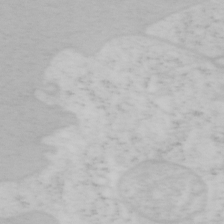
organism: Mouse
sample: OT-I killer T cells with ID8 ovarian cancer cells